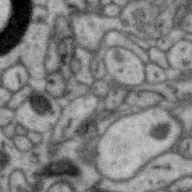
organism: Zebra finch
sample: Brain